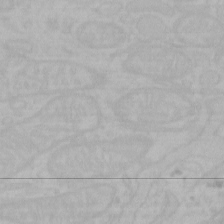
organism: Mouse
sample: Choroid plexus